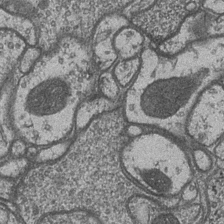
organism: Drosophila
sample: Optic medulla